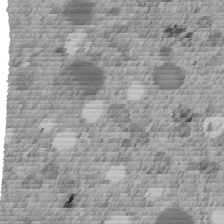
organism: C. elegans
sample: C. elegans embryo early stage